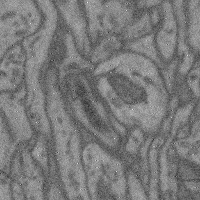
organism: Mouse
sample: Cerebral cortex